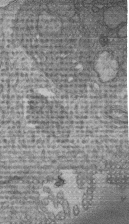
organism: Human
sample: Retinal organoid Rod and Cone cells